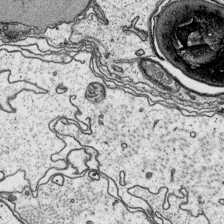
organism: Platynereis dumerilii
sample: Parapodia